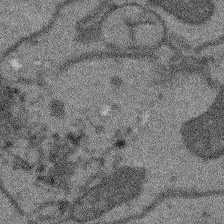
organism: Arabidopsis thaliana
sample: Root tip